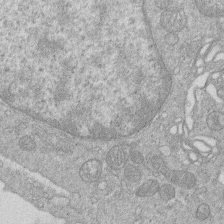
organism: Human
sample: Macrophage cells